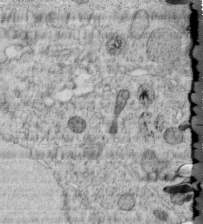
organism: C. elegans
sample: C. elegans embryo early stage